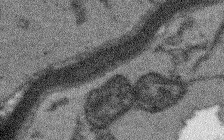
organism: Arabidopsis thaliana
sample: Root tip